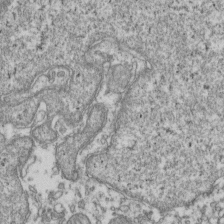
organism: Human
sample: Activated Jurkat CD4+ T cells